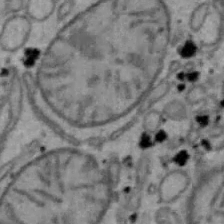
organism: Mouse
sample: Liver